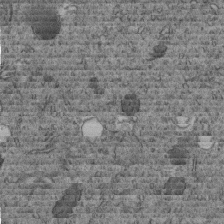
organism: C. elegans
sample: C. elegans embryo early stage